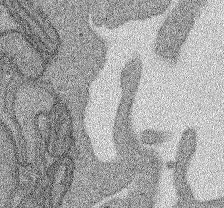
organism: Human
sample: HeLa cells